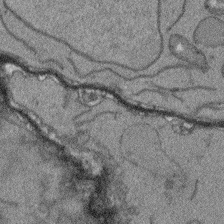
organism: Arabidopsis thaliana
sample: Root tip